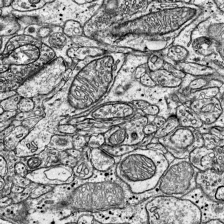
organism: Mouse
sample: Visual Cortex